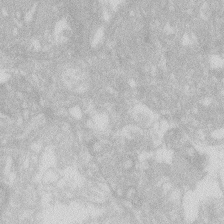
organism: Zebrafish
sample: Macrophage